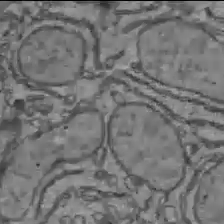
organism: C57BL Mouse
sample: Liver